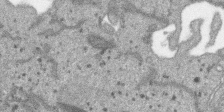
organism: Human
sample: Lung epithelial cells infected with SARS-CoV-2